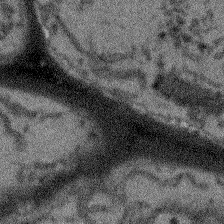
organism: Arabidopsis thaliana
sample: Root tip